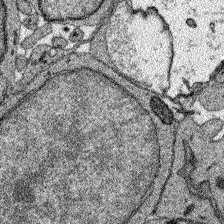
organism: Zebrafish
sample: Larval olfactory bulb